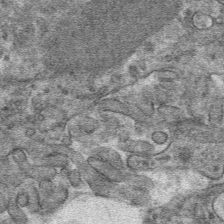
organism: Mouse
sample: Mouse hepatocytes